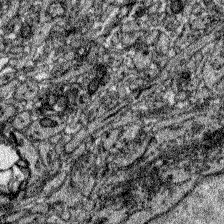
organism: Zebrafish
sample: Larval olfactory bulb